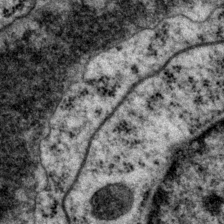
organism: P. pacificus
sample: Pharynx